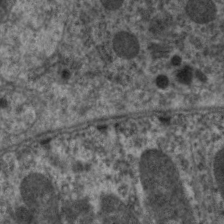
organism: C. elegans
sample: Pharynx